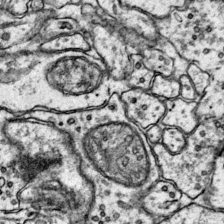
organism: Mouse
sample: Primary visual cortex